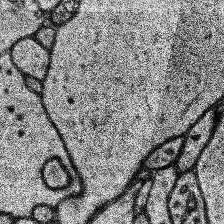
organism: Human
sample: Temporal Lobe